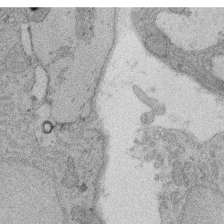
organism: Rat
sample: Salivary granule